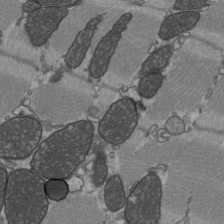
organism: C57BL Mouse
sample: Heart